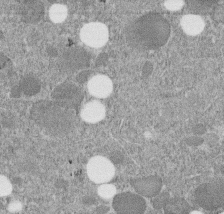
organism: C. elegans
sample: C. elegans embryo early stage